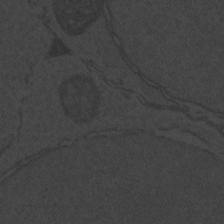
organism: Zebrafish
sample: Macrophage infected with Toxoplasma gondii